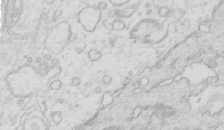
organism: Mouse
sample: Multiciliated cells